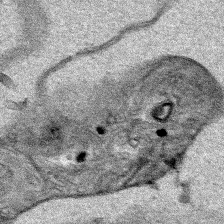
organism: Human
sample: Mitochondria in HCT116 cells